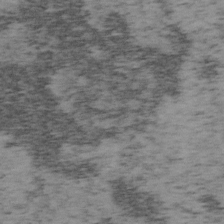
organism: Mouse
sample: OT-I killer T cells with ID8 ovarian cancer cells